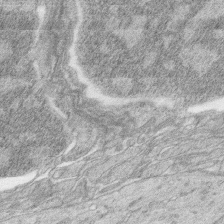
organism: Zebrafish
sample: synaptic ribbons in rod cells and cone cells